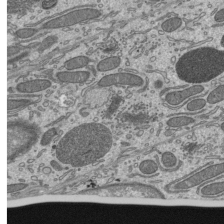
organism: Mouse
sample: Mouse epididymis efferent ductule cilia